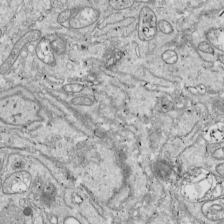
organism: Drosophila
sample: Cell division; meiosis; drosophila spermatocytes